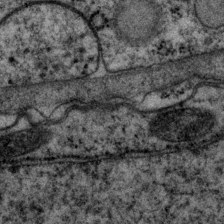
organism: P. pacificus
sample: Pharynx